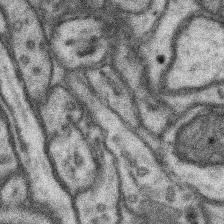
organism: Mouse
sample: Somatosensory cortex neuropil